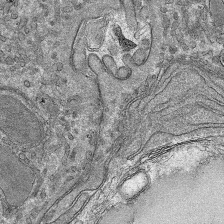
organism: Mouse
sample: Mouse hepatocytes